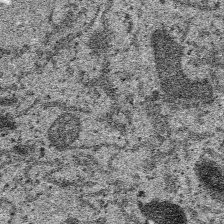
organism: Human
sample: Lung epithelial cells infected with SARS-CoV-2